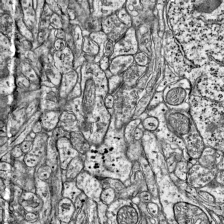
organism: Mouse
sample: Visual Cortex